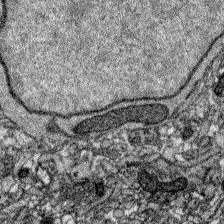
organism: Zebrafish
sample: Larval olfactory bulb